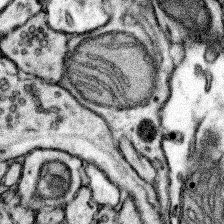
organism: Mouse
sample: Somatosensory cortex neuropil